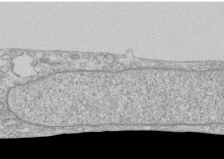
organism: Human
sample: CRL-1474